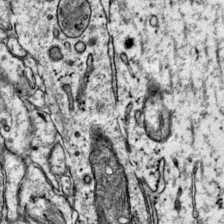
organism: Mouse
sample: Primary visual cortex